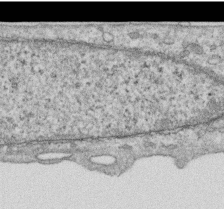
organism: Human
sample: Centriole in RPE cells